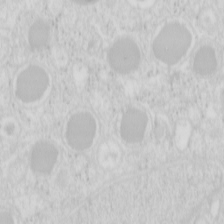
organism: Mouse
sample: Pancreas